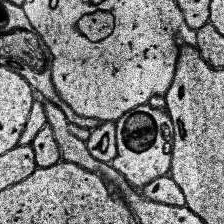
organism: Human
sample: Temporal Lobe